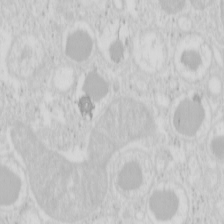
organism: Mouse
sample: Pancreas